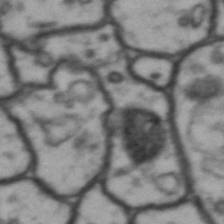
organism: Drosophila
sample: Brain